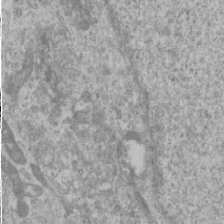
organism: Human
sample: Cilia; basal body in RPE cells